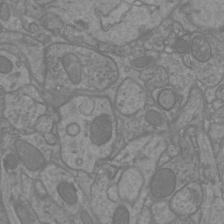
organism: Mouse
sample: Cortical neurons